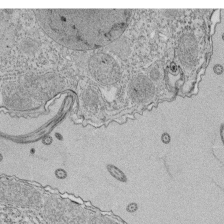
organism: Tetrahymena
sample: Cilia in tetrahymena